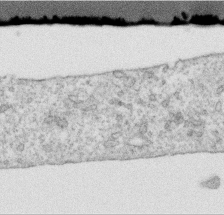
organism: Human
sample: Centriole in RPE cells